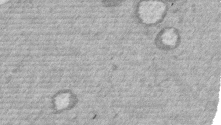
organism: Mouse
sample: Dividing mouse embryo 1 cell stage